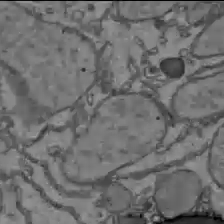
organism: C57BL Mouse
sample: Liver